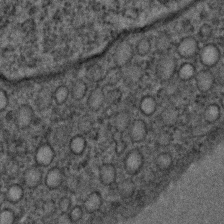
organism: C. elegans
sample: C. elegans embryo